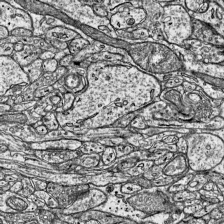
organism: Mouse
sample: Visual Cortex